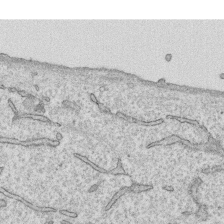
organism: Human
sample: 1205lu cells